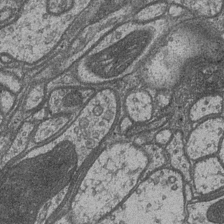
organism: Drosophila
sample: Optic medulla